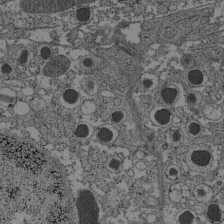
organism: C57BL Mouse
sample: Pancreatic islet